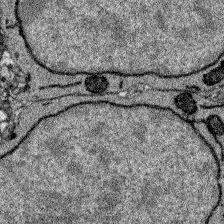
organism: Zebrafish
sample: Larval olfactory bulb